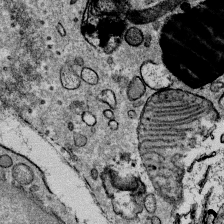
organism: Mouse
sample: Mouse Salivary gland